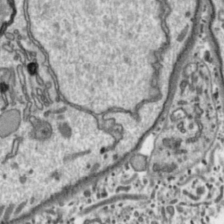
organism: Toxoplasma gondii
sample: Parasites in a vacuole inside a host cell